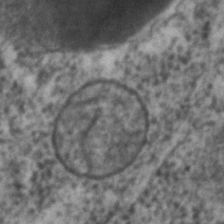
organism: C. elegans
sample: C. elegans embryo